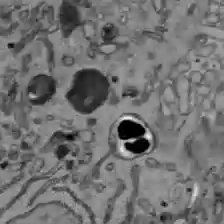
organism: C57BL Mouse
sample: Liver